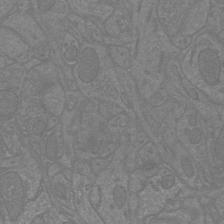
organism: Mouse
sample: Cortical neurons